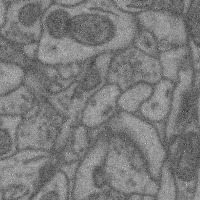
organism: Mouse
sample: Cerebral cortex